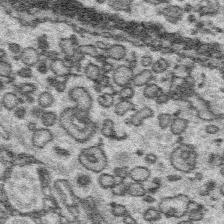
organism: Platynereis dumerilii